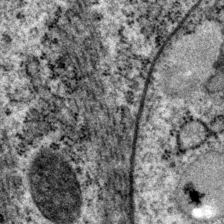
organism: P. pacificus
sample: Pharynx